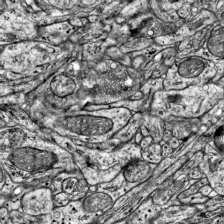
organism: Mouse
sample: Visual Cortex